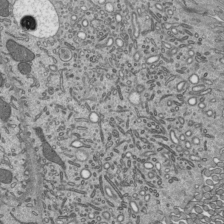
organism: Mouse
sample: Mouse epididymis efferent ductule cilia